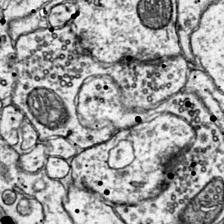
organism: Mouse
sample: Primary visual cortex